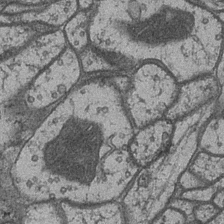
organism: Drosophila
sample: Optic medulla